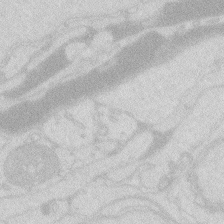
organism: Zebrafish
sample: Macrophage